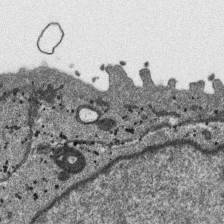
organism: Human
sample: Lung epithelial cells infected with SARS-CoV-2